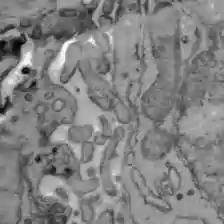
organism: C57BL Mouse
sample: Liver